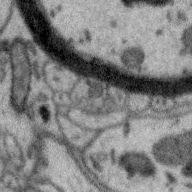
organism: Zebra finch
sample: Brain